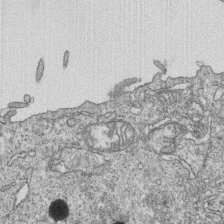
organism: Human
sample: HeLa cell HIV synapse